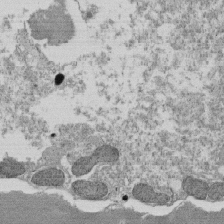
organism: Tetrahymena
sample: Cilia in tetrahymena